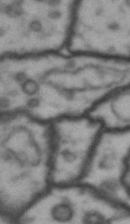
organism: Drosophila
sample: Brain